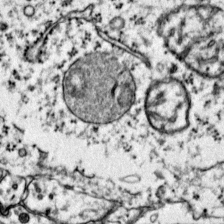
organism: Mouse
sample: Primary visual cortex